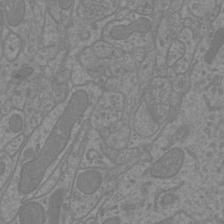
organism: Mouse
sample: Cortical neurons